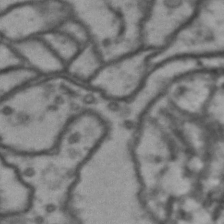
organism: Drosophila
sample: Brain